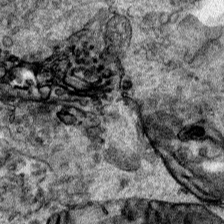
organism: Human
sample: Mitochondria in HCT116 cells